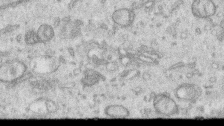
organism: Human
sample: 1205lu cells